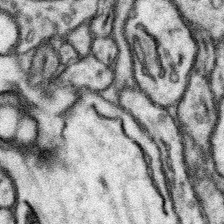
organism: Mouse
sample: Somatosensory cortex neuropil